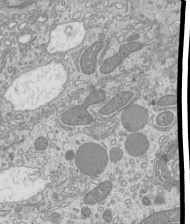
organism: Mouse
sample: Cilia; mouse epididymis